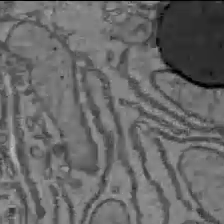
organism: C57BL Mouse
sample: Liver